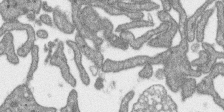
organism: Human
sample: Lung epithelial cells infected with SARS-CoV-2